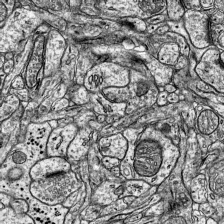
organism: Mouse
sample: Visual Cortex